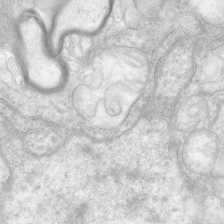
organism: Human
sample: Neocortex